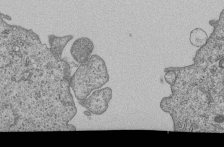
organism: Human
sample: MDA-MB-231 cells